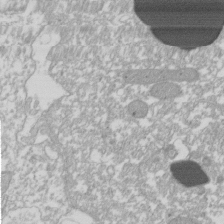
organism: Xenopus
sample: Cilia; centrioles in frog embryo cells